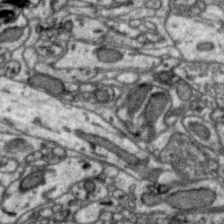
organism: Zebra finch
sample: Brain